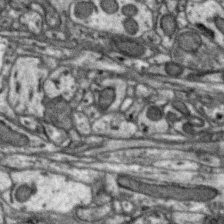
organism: Zebra finch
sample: Brain